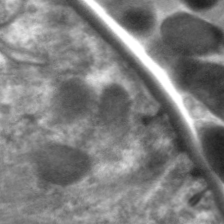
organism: C. elegans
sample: Pharynx